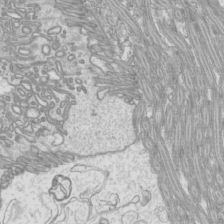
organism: Mouse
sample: Cilia; mouse epididymis